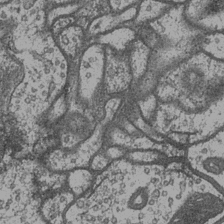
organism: Drosophila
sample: Optic medulla